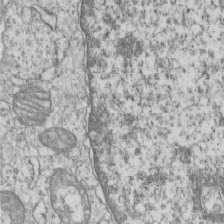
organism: Human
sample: MDA-MB-231 cells